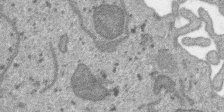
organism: Human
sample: Lung epithelial cells infected with SARS-CoV-2